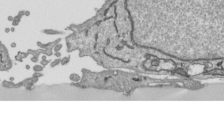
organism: Human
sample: Mitochondria in HCT116 cells